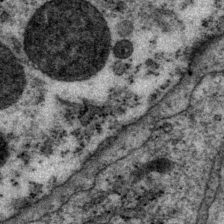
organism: P. pacificus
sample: Pharynx